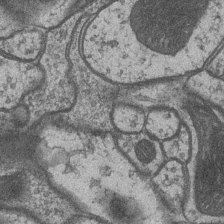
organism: Drosophila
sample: Optic medulla